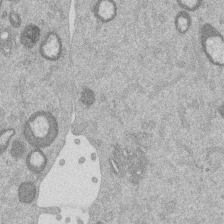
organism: Mouse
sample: Dividing mouse embryo 1 cell stage